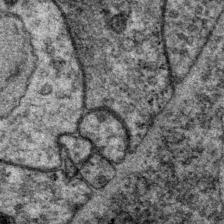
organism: P. pacificus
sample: Pharynx